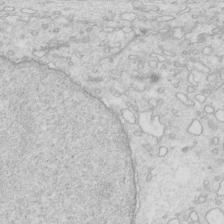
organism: Mouse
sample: Multiciliated cells